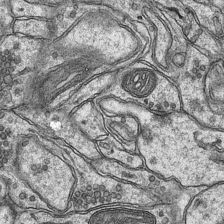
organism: Mouse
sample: CA1 Hippocampus